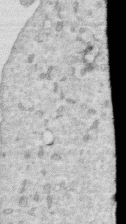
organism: Human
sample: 1205lu cells